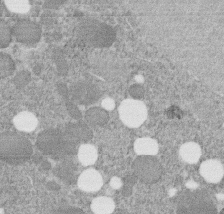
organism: C. elegans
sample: C. elegans embryo early stage